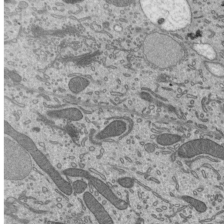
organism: Mouse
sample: Mouse epididymis efferent ductule cilia